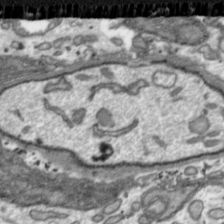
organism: Toxoplasma gondii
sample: Parasites in a vacuole inside a host cell